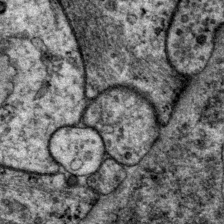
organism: P. pacificus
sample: Pharynx